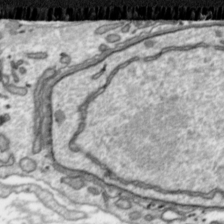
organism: Toxoplasma gondii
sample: Parasites in a vacuole inside a host cell